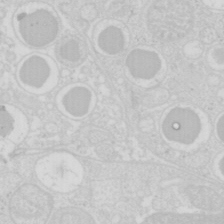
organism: Mouse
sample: Pancreas